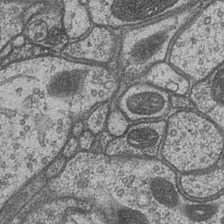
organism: Drosophila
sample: Optic medulla